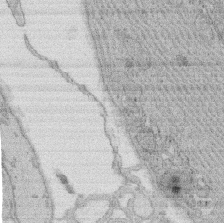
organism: Rat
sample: Salivary granule